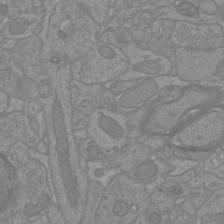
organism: Mouse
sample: Cortical neurons